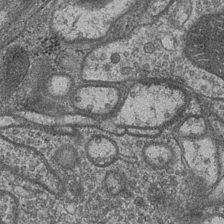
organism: Drosophila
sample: Optic medulla